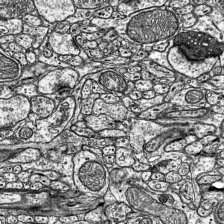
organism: Mouse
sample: Visual Cortex